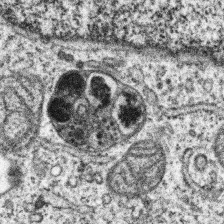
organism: Human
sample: HeLa cells